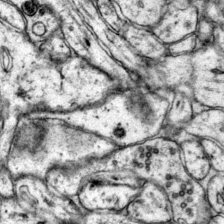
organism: Mouse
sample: Primary visual cortex